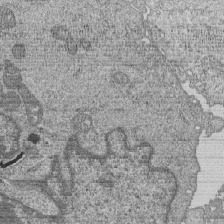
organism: Human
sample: MDA-MB-231 cells